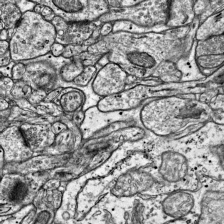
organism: Mouse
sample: Visual Cortex